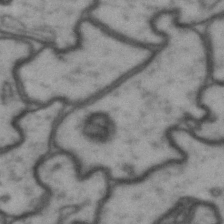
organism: Drosophila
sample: Brain